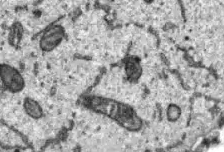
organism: Human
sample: HeLa cells